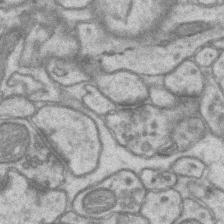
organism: Mouse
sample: CA1 Hippocampus